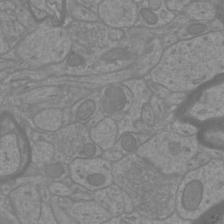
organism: Mouse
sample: Cortical neurons